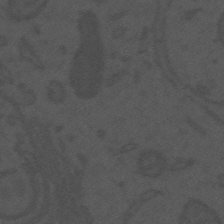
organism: Mouse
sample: Suprachiasmatic nucleus